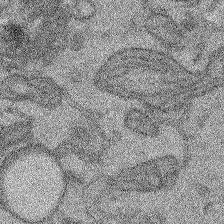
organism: Human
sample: HeLa cells